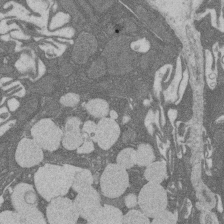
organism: Rat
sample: Salivary granule